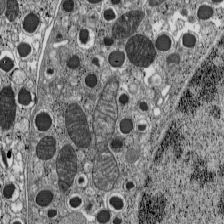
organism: C57BL Mouse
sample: Pancreatic islet